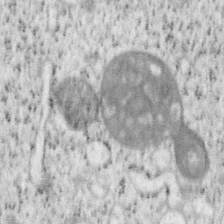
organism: Mouse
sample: OT-I killer T cells with ID8 ovarian cancer cells